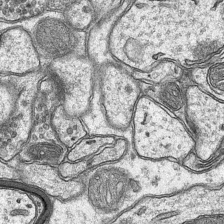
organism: Mouse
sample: CA1 Hippocampus